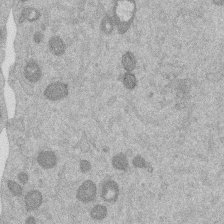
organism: Mouse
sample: Dividing mouse embryo 1 cell stage